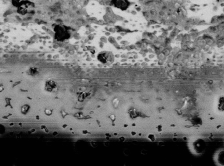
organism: Mouse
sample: ED-1 cell nuclei; centrioles